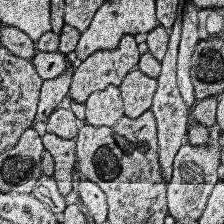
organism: Human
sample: Temporal Lobe